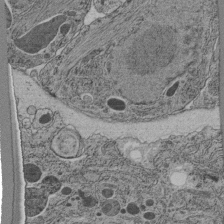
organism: C. elegans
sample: C. elegans pharynx